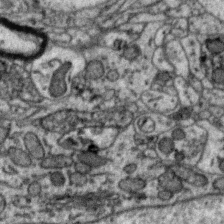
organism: Zebra finch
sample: Brain